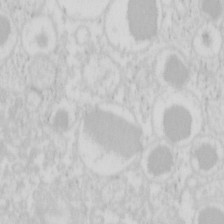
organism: Mouse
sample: Pancreas